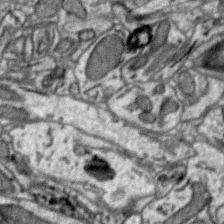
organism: Zebra finch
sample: Brain